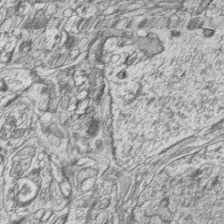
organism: Zebrafish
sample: synaptic ribbons in rod cells and cone cells